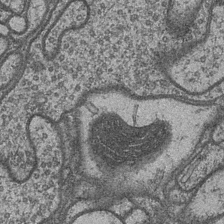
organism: Drosophila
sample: Optic medulla